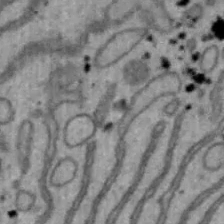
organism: Mouse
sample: Liver